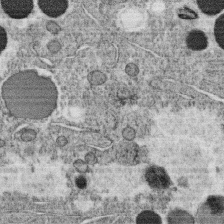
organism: C. elegans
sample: C. elegans oocyte; sperm cells